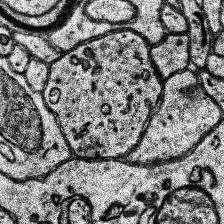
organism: Human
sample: Temporal Lobe